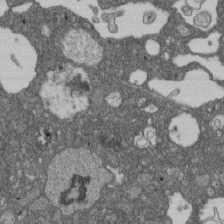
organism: Drosophila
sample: Nephrocyte